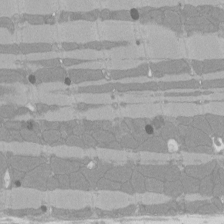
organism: Rat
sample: Left ventricle